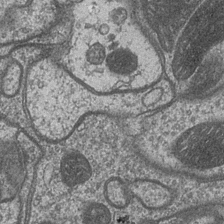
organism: Drosophila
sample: Optic medulla